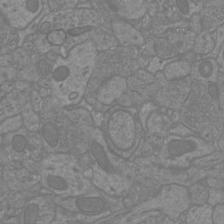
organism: Mouse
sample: Cortical neurons